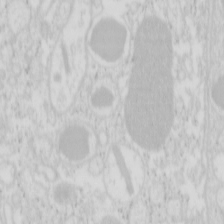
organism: Mouse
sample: Pancreas